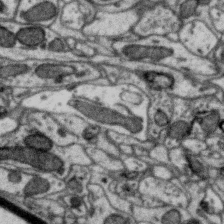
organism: Zebra finch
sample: Brain